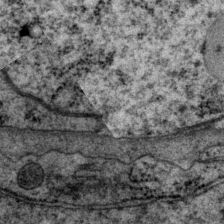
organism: P. pacificus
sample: Pharynx